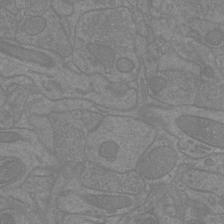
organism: Mouse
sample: Cortical neurons